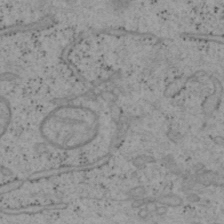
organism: Human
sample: HeLa cells